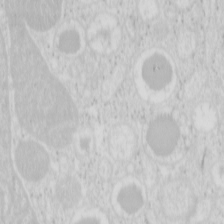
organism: Mouse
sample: Pancreas